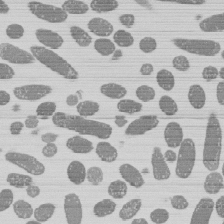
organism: E. coli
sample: Bacterial nucleoid